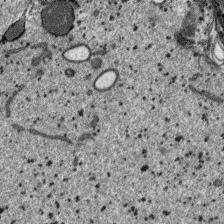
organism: Human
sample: Lung epithelial cells infected with SARS-CoV-2